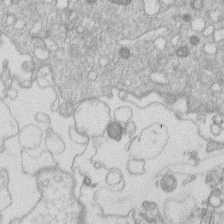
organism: Human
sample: Macrophage cells